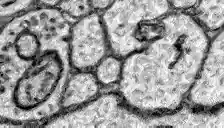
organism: Zebrafish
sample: Brain